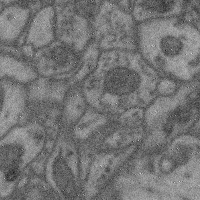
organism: Mouse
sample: Cerebral cortex